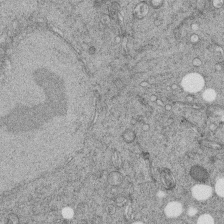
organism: C. elegans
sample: C. elegans embryo early stage